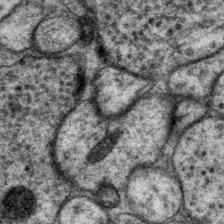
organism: P. pacificus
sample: Pharynx